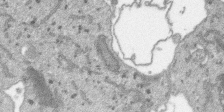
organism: Human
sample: Lung epithelial cells infected with SARS-CoV-2